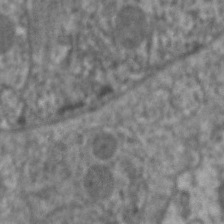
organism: C. elegans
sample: Pharynx